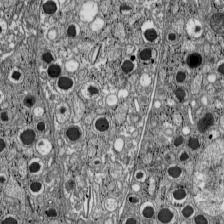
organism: C57BL Mouse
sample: Pancreatic islet